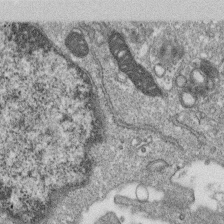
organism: African green monkey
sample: Vero E6 cells infected with SARS-CoV-2